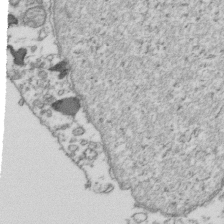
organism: Human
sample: Activated Jurkat CD4+ T cells